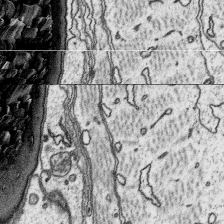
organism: Platynereis dumerilii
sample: Parapodia